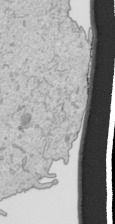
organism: Human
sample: Mitochondria in HCT116 cells